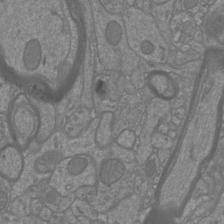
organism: Mouse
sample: Cortical neurons